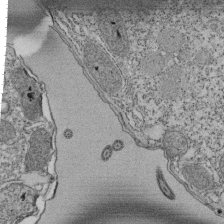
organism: Tetrahymena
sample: Cilia in tetrahymena